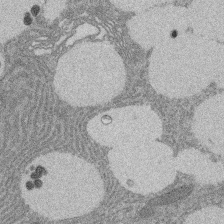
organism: Rat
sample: Salivary granule